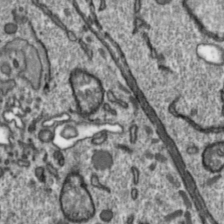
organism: Toxoplasma gondii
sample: Parasites in a vacuole inside a host cell